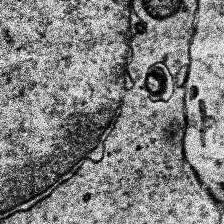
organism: Human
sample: Temporal Lobe